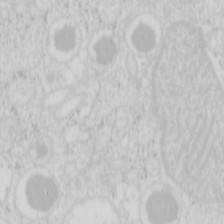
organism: Mouse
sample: Pancreas